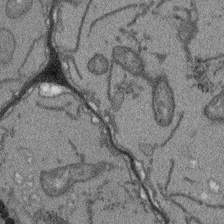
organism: Arabidopsis thaliana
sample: Root tip